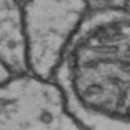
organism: Drosophila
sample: Brain